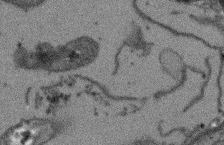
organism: Arabidopsis thaliana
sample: Root tip